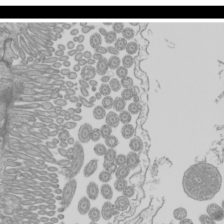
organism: Mouse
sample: Cilia; mouse epididymis